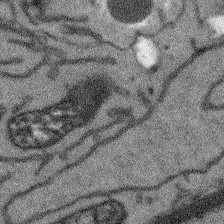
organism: Arabidopsis thaliana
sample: Root tip